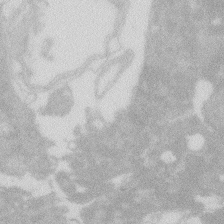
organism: Zebrafish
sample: Macrophage